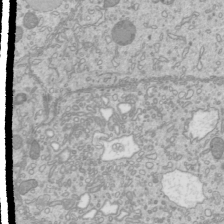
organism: Mouse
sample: Cilia; mouse epididymis